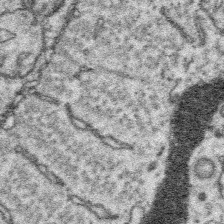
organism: Platynereis dumerilii